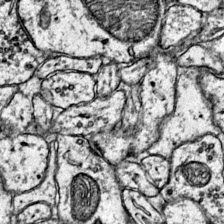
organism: Mouse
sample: Primary visual cortex